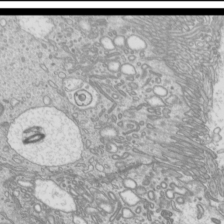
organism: Mouse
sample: Cilia; mouse epididymis